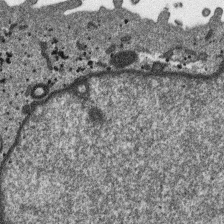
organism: Human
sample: Lung epithelial cells infected with SARS-CoV-2